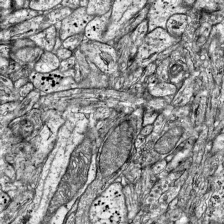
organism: Mouse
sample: Visual Cortex